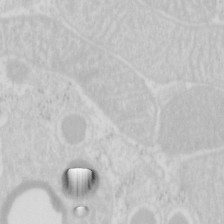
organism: Mouse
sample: Pancreas